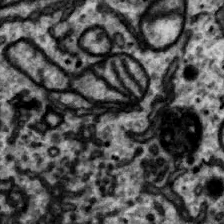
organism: Human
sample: HeLa cells